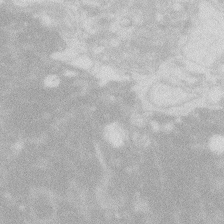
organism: Zebrafish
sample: Macrophage